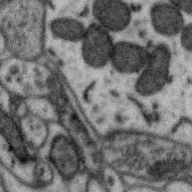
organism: Zebra finch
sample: Brain